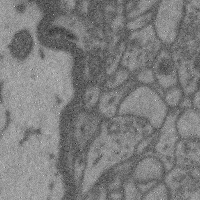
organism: Mouse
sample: Cerebral cortex